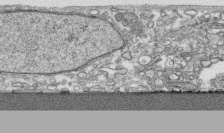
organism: Human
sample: CRL-1474